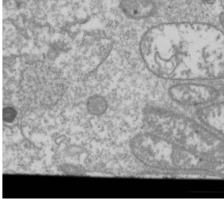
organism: Drosophila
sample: Cell division; meiosis; drosophila spermatocytes